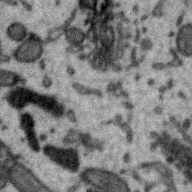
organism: Zebra finch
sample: Brain